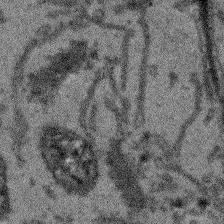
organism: Arabidopsis thaliana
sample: Root tip